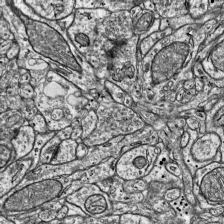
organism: Mouse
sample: Visual Cortex